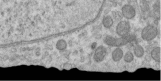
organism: Human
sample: Centriole in RPE cells